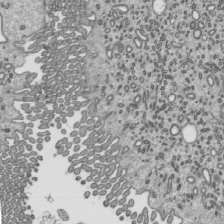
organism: Mouse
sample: Mouse epididymis efferent ductule cilia